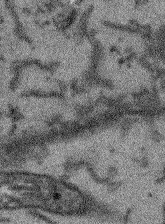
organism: Arabidopsis thaliana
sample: Root tip